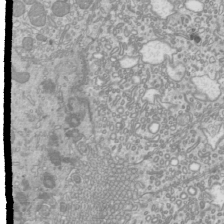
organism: Mouse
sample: Cilia; mouse epididymis